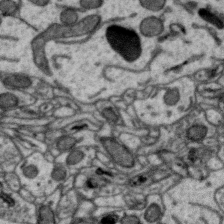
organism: Zebra finch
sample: Brain